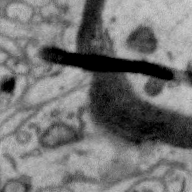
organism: Zebra finch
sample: Brain